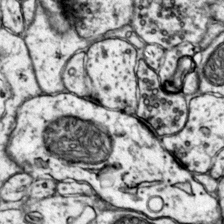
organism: Mouse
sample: Primary visual cortex